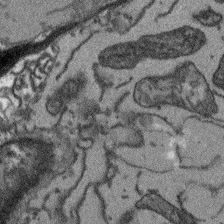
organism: Arabidopsis thaliana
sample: Root tip